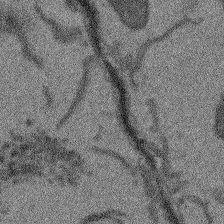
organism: Arabidopsis thaliana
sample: Root tip